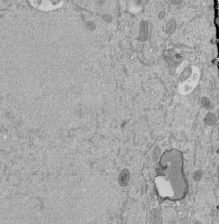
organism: Mouse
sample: ED-1 cell nuclei; centrioles